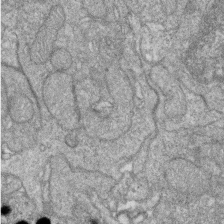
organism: Zebrafish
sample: Cilia; retinal pigment epithelium